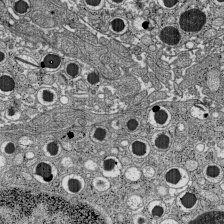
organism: C57BL Mouse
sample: Pancreatic islet